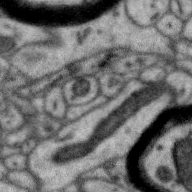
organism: Zebra finch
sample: Brain